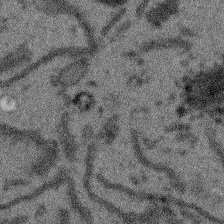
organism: Arabidopsis thaliana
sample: Root tip